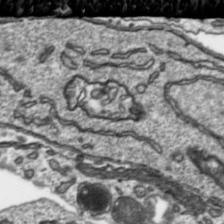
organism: Toxoplasma gondii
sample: Parasites in a vacuole inside a host cell